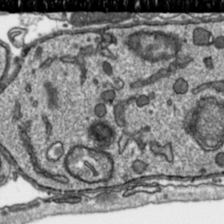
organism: Toxoplasma gondii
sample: Parasites in a vacuole inside a host cell